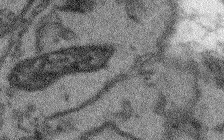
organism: Arabidopsis thaliana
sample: Root tip